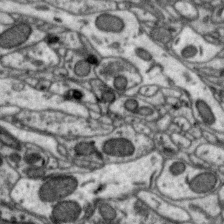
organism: Zebra finch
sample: Brain